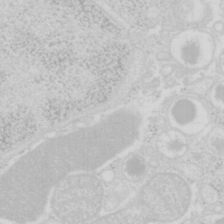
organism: Mouse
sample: Pancreas